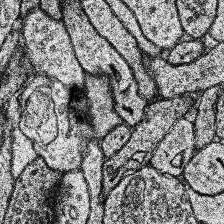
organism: Human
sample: Temporal Lobe